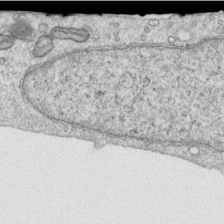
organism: Human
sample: Centriole in RPE cells